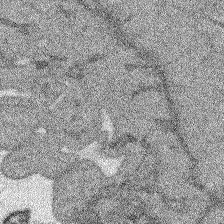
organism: Human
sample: HeLa cells